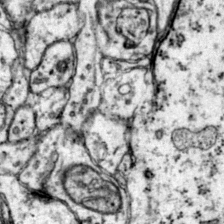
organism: Mouse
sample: Primary visual cortex